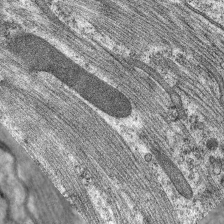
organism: C. elegans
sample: Pharynx